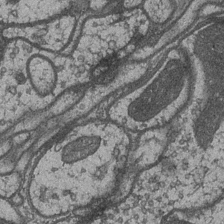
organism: Drosophila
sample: Optic medulla